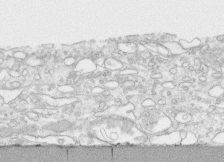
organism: Human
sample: CRL-1474